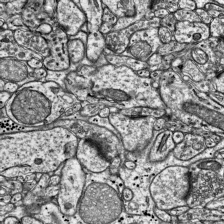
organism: Mouse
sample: Visual Cortex